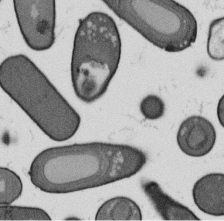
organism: B. subtilis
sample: Bacterial spore